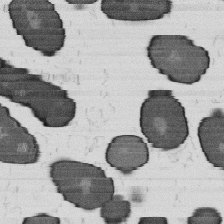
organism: B. subtilis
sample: Bacterial spore